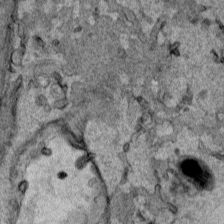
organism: Human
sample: Mitochondria in HCT116 cells